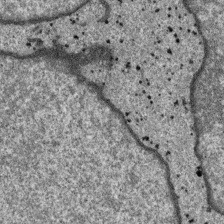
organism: Human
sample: Lung epithelial cells, uninfected (mock) control